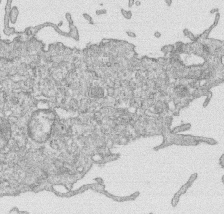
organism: Human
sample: HeLa cell HIV synapse